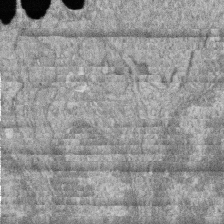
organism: Zebrafish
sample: Cilia; retinal pigment epithelium